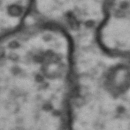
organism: Drosophila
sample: Brain